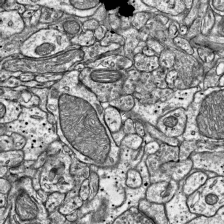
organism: Mouse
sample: Visual Cortex